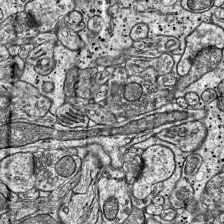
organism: Mouse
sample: Visual Cortex